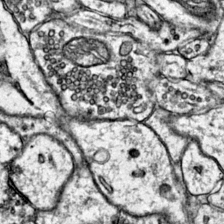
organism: Mouse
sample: Primary visual cortex